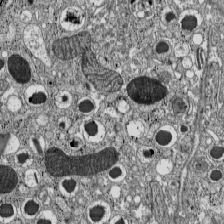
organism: C57BL Mouse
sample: Pancreatic islet